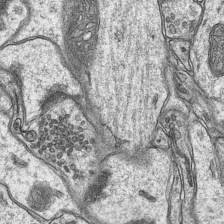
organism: Mouse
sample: CA1 Hippocampus